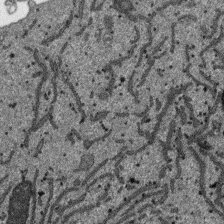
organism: Human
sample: Lung epithelial cells infected with SARS-CoV-2